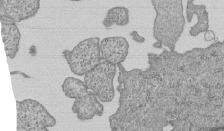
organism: Human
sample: MDA-MB-231 cells